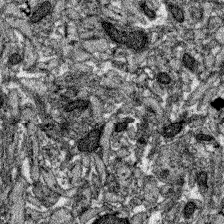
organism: Zebrafish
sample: Larval olfactory bulb